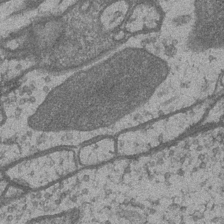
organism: Drosophila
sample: Optic medulla